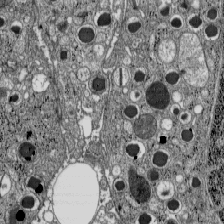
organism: C57BL Mouse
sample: Pancreatic islet